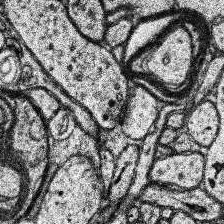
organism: Human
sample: Temporal Lobe